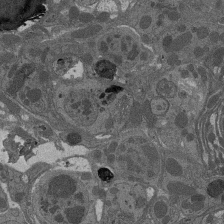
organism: Drosophila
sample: Antenna